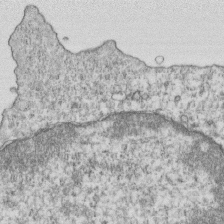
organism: Mouse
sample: Activated OT-1 CD8+ T cells